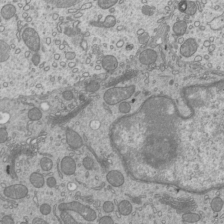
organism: Mouse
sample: Cilia; mouse epididymis